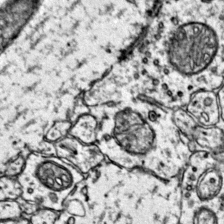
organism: Mouse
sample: Primary visual cortex